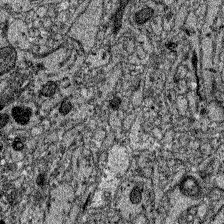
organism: Zebrafish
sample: Larval olfactory bulb